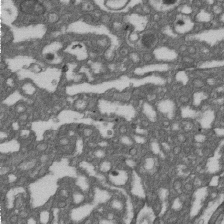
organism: Drosophila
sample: Nephrocyte